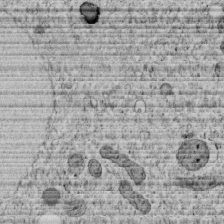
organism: C. elegans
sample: C. elegans embryo early stage